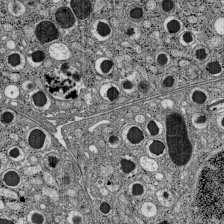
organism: C57BL Mouse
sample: Pancreatic islet